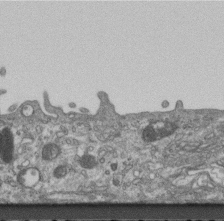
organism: Mouse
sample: Centriole in ependymal cells